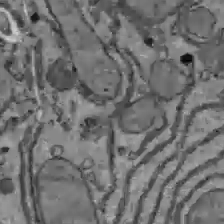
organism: C57BL Mouse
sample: Liver